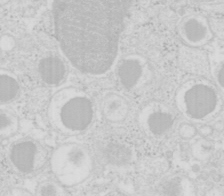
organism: Mouse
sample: Pancreas